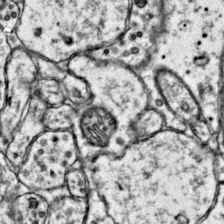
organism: Mouse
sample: Primary visual cortex